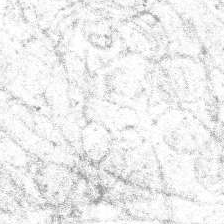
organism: Human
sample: Temporal Lobe